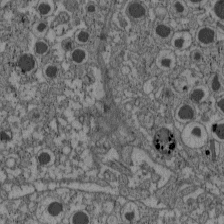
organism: C57BL Mouse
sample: Pancreatic islet